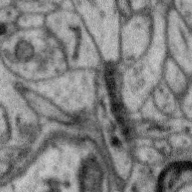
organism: Zebra finch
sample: Brain